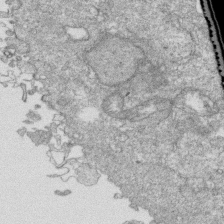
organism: Human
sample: HeLa cell HIV synapse